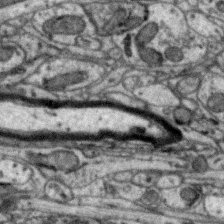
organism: Zebra finch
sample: Brain